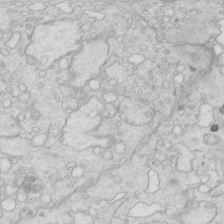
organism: Mouse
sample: Multiciliated cells